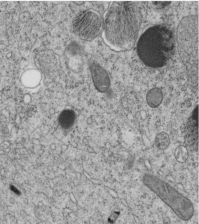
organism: C. elegans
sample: C. elegans embryo early stage